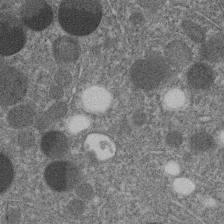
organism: C. elegans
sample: C. elegans embryo early stage